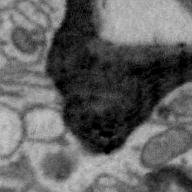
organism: Zebra finch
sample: Brain